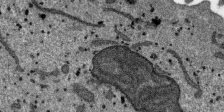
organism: Human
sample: Lung epithelial cells, uninfected (mock) control